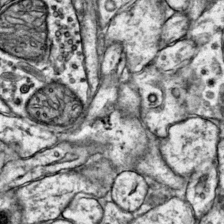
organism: Mouse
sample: Primary visual cortex